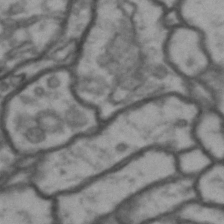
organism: Drosophila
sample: Brain